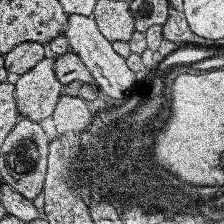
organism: Human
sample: Temporal Lobe